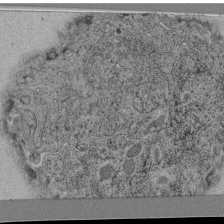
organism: C. elegans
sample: C. elegans pharynx